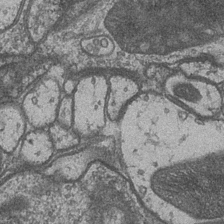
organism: Drosophila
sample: Optic medulla